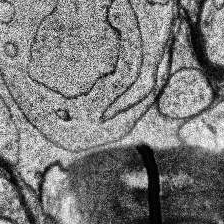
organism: Human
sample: Temporal Lobe